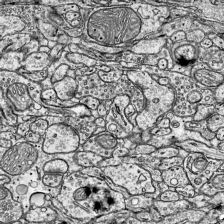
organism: Mouse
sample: Visual Cortex